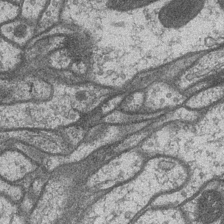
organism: Drosophila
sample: Optic medulla